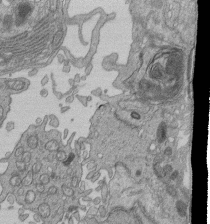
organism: Human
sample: Retinal organoid Rod and Cone cells